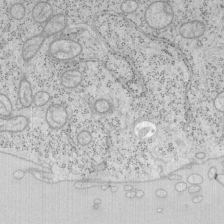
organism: Mouse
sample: OT-I killer T cells with ID8 ovarian cancer cells